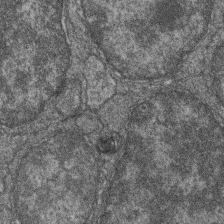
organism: Zebrafish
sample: Cilia; retinal pigment epithelium